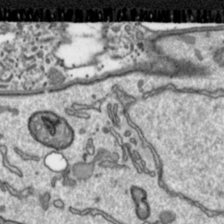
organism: Toxoplasma gondii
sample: Parasites in a vacuole inside a host cell